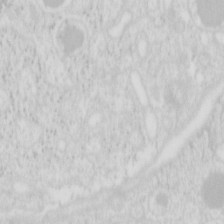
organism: Mouse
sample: Pancreas